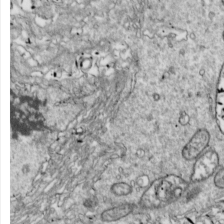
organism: Drosophila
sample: Cell division; meiosis; drosophila spermatocytes